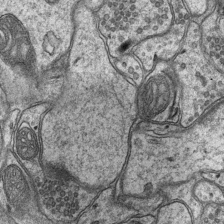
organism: Mouse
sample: CA1 Hippocampus